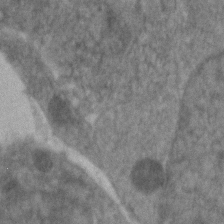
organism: Zebrafish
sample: Zebrafish embryo